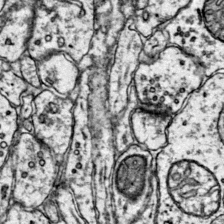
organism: Mouse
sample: Primary visual cortex